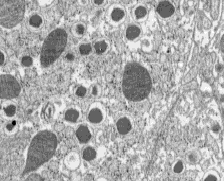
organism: C57BL Mouse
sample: Pancreatic islet